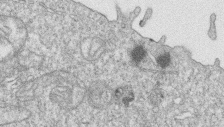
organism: Human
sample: HeLa cell HIV synapse